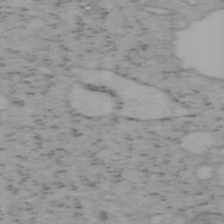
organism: Mouse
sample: OT-I killer T cells with ID8 ovarian cancer cells